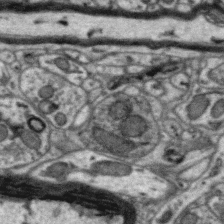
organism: Zebra finch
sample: Brain